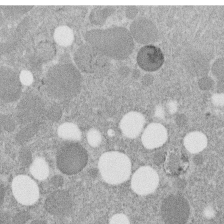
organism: C. elegans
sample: C. elegans embryo early stage